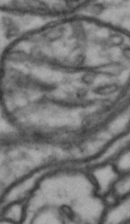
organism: Drosophila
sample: Brain